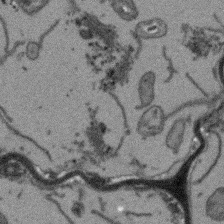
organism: Arabidopsis thaliana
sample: Root tip